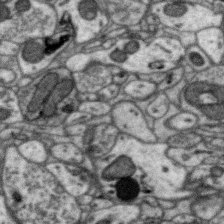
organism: Zebra finch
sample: Brain